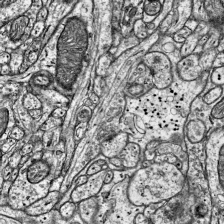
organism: Mouse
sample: Visual Cortex